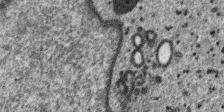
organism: Human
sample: Lung epithelial cells infected with SARS-CoV-2